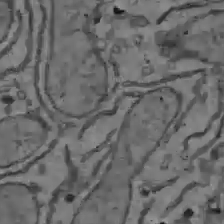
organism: C57BL Mouse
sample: Liver